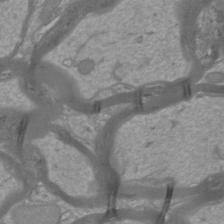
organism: Mouse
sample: Cortical neurons